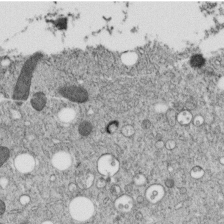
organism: C. elegans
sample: C. elegans embryo early stage